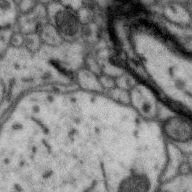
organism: Zebra finch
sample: Brain